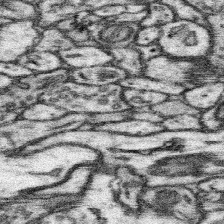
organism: Mouse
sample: Somatosensory cortex neuropil